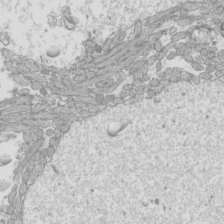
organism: Mouse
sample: Cilia; mouse epididymis